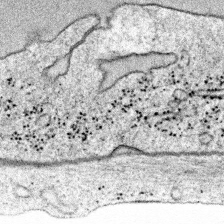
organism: Human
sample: HeLa cells